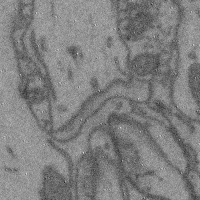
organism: Mouse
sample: Cerebral cortex